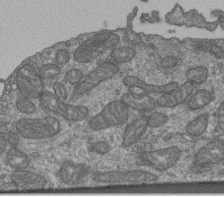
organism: Human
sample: Retinal organoid Rod and Cone cells